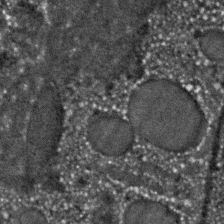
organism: C. elegans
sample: C. elegans embryo